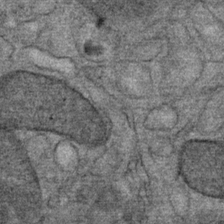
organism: Mouse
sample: Mouse Salivary gland